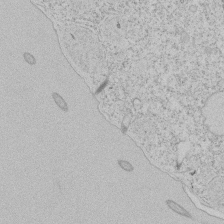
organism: Tetrahymena